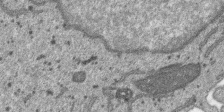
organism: Human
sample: Lung epithelial cells infected with SARS-CoV-2